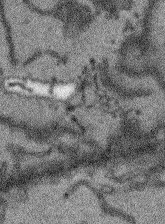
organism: Arabidopsis thaliana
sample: Root tip